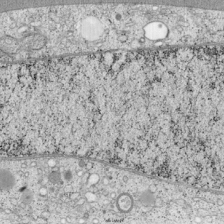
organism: African green monkey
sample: COS-7 cells